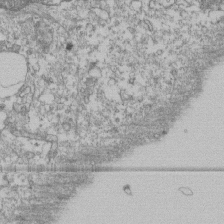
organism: Human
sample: Fibroblast cells